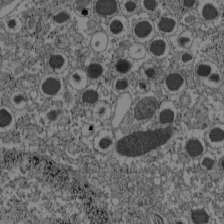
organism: C57BL Mouse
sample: Pancreatic islet